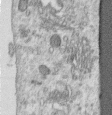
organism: Human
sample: Centriole in RPE cells